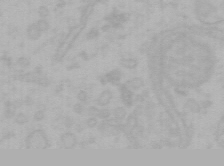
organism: Mouse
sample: Choroid plexus